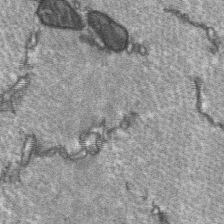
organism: C57BL Mouse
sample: Soleus